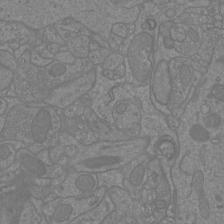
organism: Mouse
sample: Cortical neurons